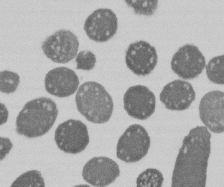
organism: E. coli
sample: Bacterial nucleoid